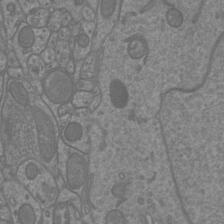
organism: Mouse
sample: Cortical neurons